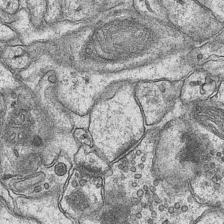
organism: Mouse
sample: CA1 Hippocampus